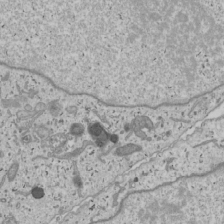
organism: Human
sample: Mitochondria in U2OS cells